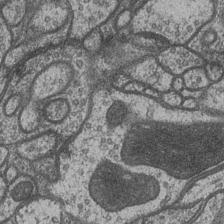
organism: Drosophila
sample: Optic medulla